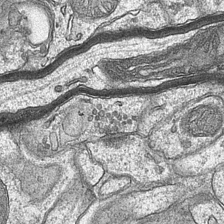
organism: Mouse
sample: CA1 Hippocampus